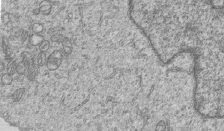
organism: Human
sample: MDA-MB-231 cells